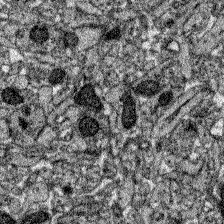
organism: Zebrafish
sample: Larval olfactory bulb